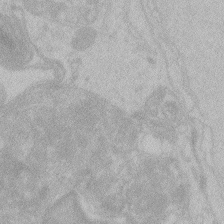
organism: Zebrafish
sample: Macrophage infected with Toxoplasma gondii